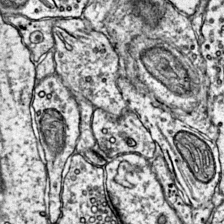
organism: Mouse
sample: Primary visual cortex